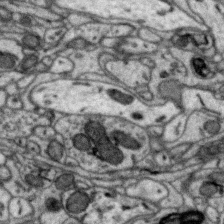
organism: Zebra finch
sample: Brain